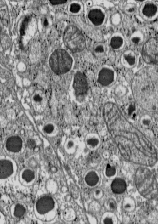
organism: C57BL Mouse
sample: Pancreatic islet